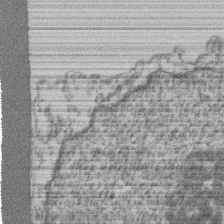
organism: Mouse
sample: T cell stromal cell synapse